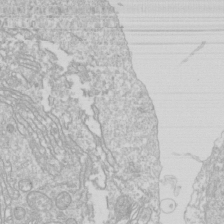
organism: Drosophila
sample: Cell division; meiosis; drosophila spermatocytes